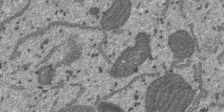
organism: Human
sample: Lung epithelial cells infected with SARS-CoV-2